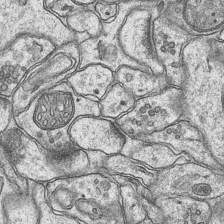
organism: Mouse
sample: CA1 Hippocampus